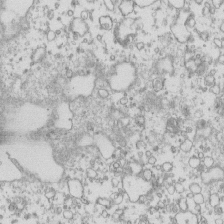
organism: Mouse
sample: Macrophages